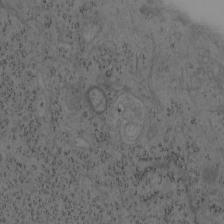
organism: Mouse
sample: OT-I killer T cells with ID8 ovarian cancer cells